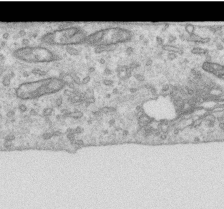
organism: Human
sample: Centriole in RPE cells